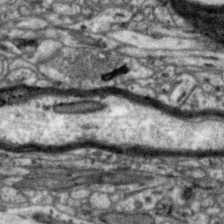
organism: Zebra finch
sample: Brain